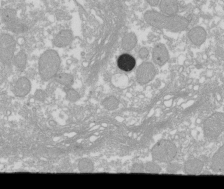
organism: Xenopus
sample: Cilia; centrioles in frog embryo cells